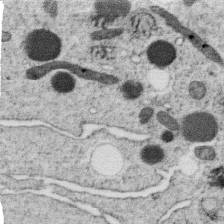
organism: C. elegans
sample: C. elegans oocyte; sperm cells